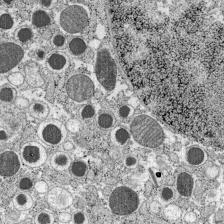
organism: C57BL Mouse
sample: Pancreatic islet